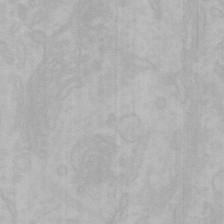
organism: Mouse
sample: Choroid plexus